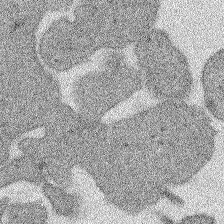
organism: Human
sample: HeLa cells